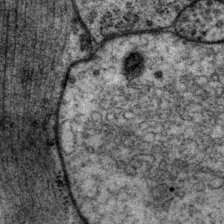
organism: P. pacificus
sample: Pharynx